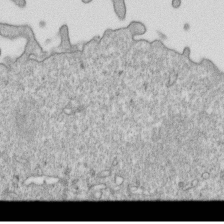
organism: Mouse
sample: Activated OT-1 CD8+ T cells